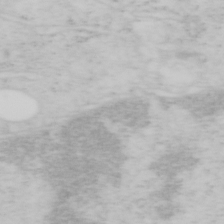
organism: Mouse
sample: OT-I killer T cells with ID8 ovarian cancer cells